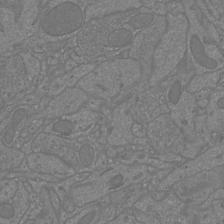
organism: Mouse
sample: Cortical neurons